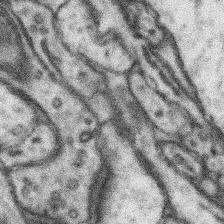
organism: Mouse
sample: Somatosensory cortex neuropil